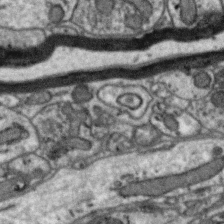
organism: Zebra finch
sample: Brain